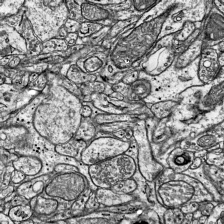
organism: Mouse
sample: Visual Cortex